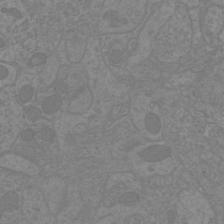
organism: Mouse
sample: Cortical neurons